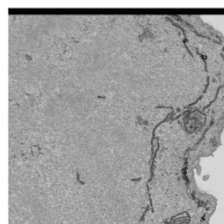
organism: Human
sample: Mitochondria in HCT116 cells